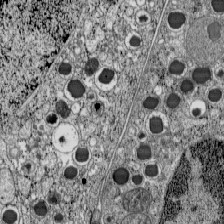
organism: C57BL Mouse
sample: Pancreatic islet